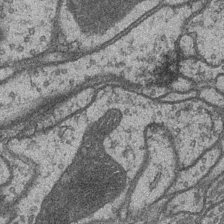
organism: Drosophila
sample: Optic medulla